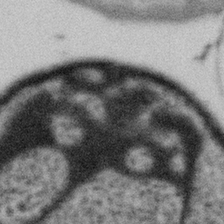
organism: Gemmata obscuriglobus